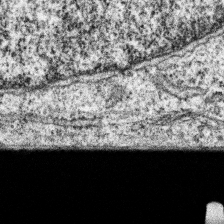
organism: Human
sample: HeLa cells